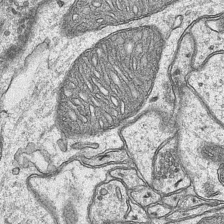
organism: Mouse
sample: CA1 Hippocampus